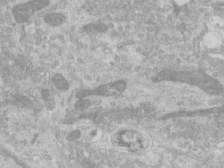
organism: Human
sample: Centriole in RPE cells